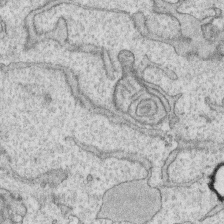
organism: Human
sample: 1205lu cells